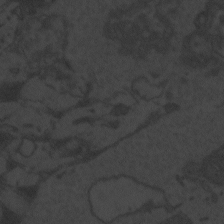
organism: Zebrafish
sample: Macrophage infected with Toxoplasma gondii